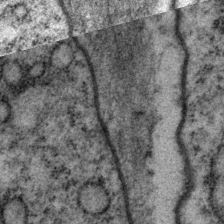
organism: P. pacificus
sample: Pharynx